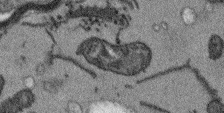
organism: Arabidopsis thaliana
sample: Root tip